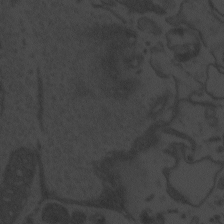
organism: Zebrafish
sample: Macrophage infected with Toxoplasma gondii